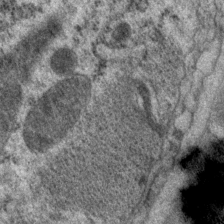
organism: P. pacificus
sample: Pharynx